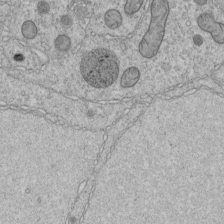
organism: C. elegans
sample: C. elegans embryo early stage